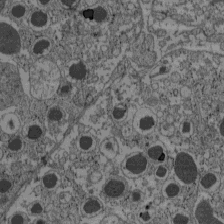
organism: C57BL Mouse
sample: Pancreatic islet